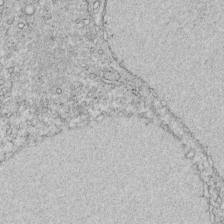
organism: C. elegans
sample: C. elegans embryo early stage